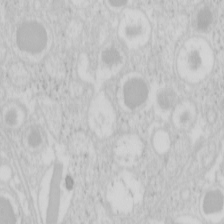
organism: Mouse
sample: Pancreas